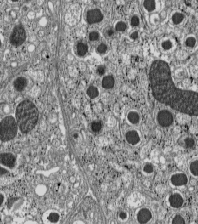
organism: C57BL Mouse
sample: Pancreatic islet